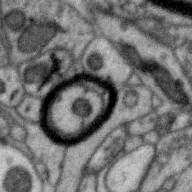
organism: Zebra finch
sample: Brain